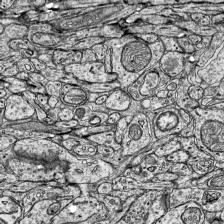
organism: Mouse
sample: Visual Cortex